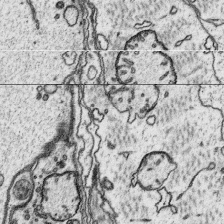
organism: Platynereis dumerilii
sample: Parapodia